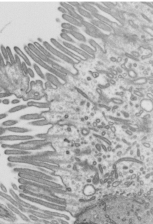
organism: Mouse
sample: Mouse epididymis efferent ductule cilia